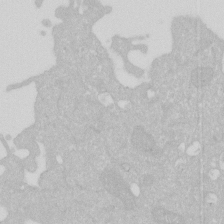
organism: Human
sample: HIV infected U937 cells